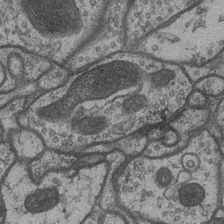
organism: Drosophila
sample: Optic medulla